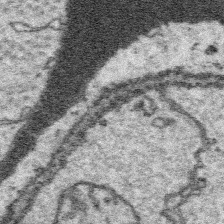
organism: Platynereis dumerilii